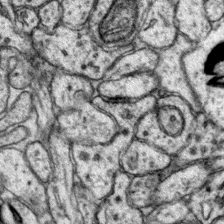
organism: Mouse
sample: Primary visual cortex